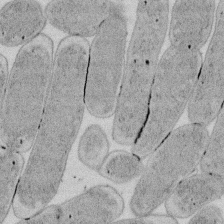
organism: E. coli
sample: Bacterial nucleoid